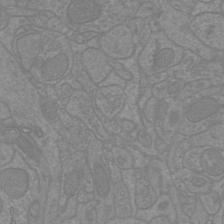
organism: Mouse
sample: Cortical neurons